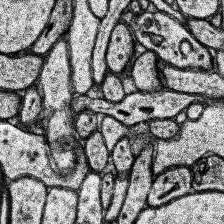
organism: Human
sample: Temporal Lobe